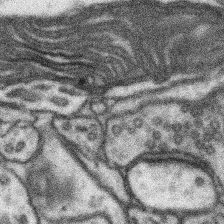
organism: Mouse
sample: Somatosensory cortex neuropil